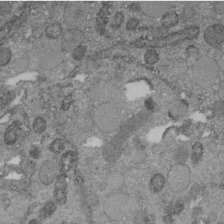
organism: C. elegans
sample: C. elegans embryo early stage